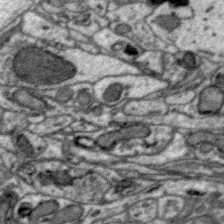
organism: Zebra finch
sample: Brain